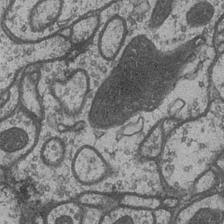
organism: Drosophila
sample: Optic medulla